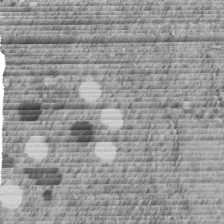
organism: C. elegans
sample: C. elegans embryo early stage